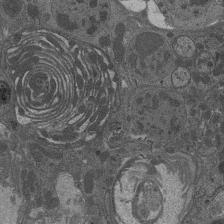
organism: Drosophila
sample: Antenna